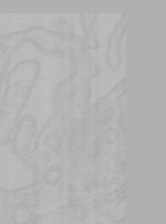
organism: Mouse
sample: Choroid plexus